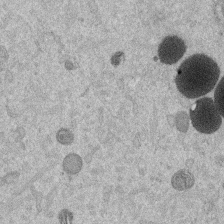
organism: Mouse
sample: Dividing mouse embryo 1 cell stage